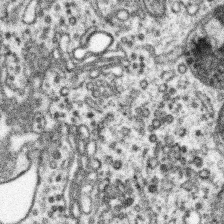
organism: Human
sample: HeLa cells